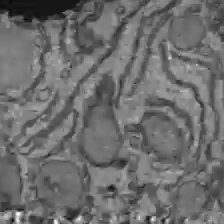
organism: C57BL Mouse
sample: Liver